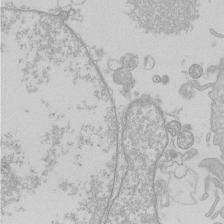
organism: Human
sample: Macrophage cells